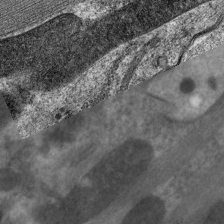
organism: C. elegans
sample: Pharynx